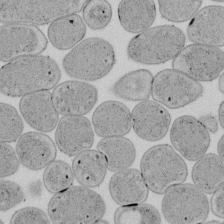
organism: E. coli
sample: Bacterial nucleoid